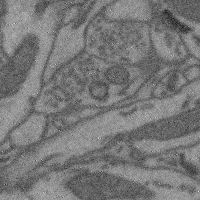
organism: Mouse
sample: Cerebral cortex